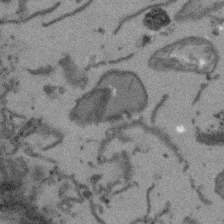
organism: Arabidopsis thaliana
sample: Root tip